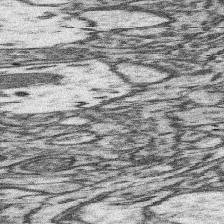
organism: Mouse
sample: Somatosensory cortex neuropil